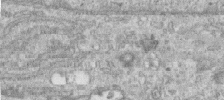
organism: Human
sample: Centriole in RPE cells